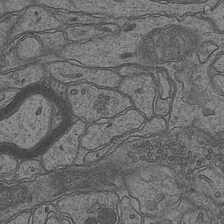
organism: Mouse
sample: CA1 Hippocampus